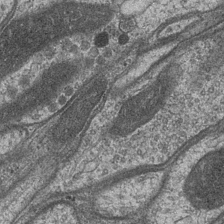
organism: Drosophila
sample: Optic medulla